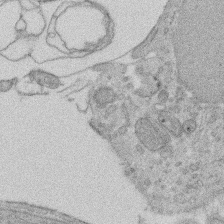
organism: Rat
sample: Salivary granule